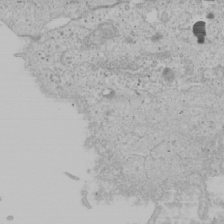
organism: Human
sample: Mitochondria in U2OS cells